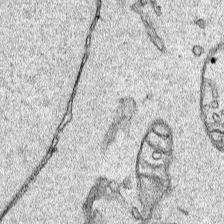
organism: Human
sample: Mitochondria in HCT116 cells